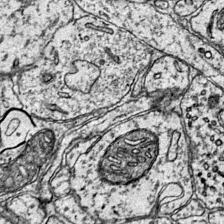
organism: Mouse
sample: Primary visual cortex